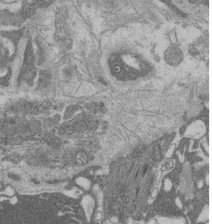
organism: Rat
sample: Salivary granule